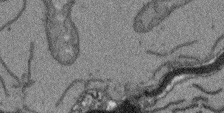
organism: Arabidopsis thaliana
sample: Root tip